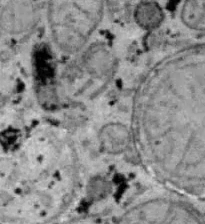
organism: Mouse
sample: Liver from an obese (ob/ob) mouse